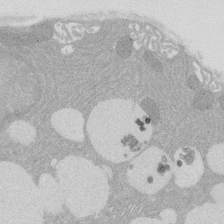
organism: Rat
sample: Salivary granule